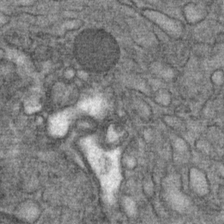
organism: Mouse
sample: Mouse Salivary gland